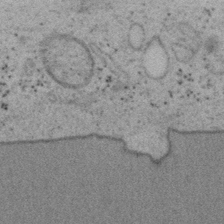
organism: Human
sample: HeLa cells